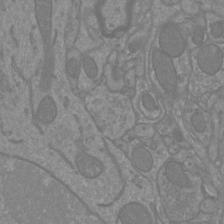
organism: Mouse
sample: Cortical neurons